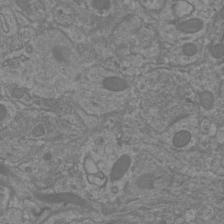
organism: Mouse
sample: Cortical neurons